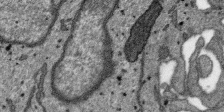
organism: Human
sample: Lung epithelial cells, uninfected (mock) control